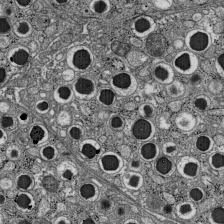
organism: C57BL Mouse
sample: Pancreatic islet